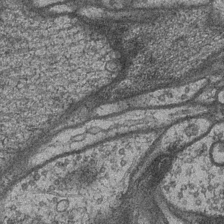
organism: Drosophila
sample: Optic medulla